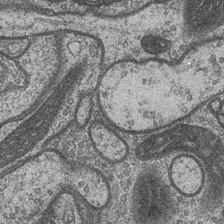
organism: Drosophila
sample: Optic medulla